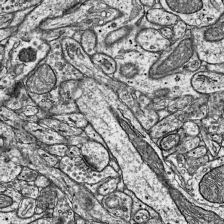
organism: Mouse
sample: Visual Cortex